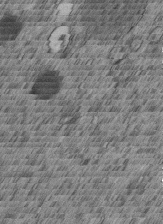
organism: C. elegans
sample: C. elegans embryo early stage